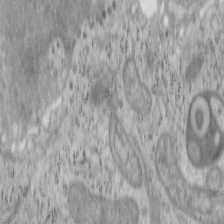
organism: Human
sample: HeLa cells